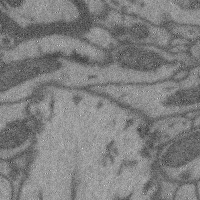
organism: Mouse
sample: Cerebral cortex